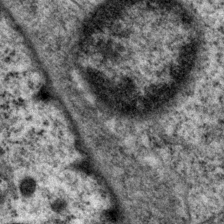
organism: P. pacificus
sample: Pharynx